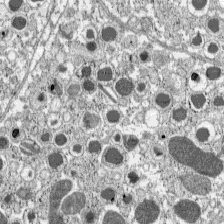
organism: C57BL Mouse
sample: Pancreatic islet